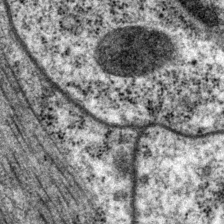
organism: P. pacificus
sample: Pharynx